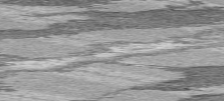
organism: C57BL Mouse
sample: Heart